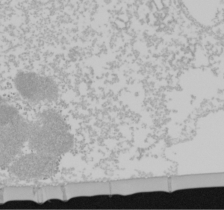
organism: Mouse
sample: Cancer cell death in ED-1 cells